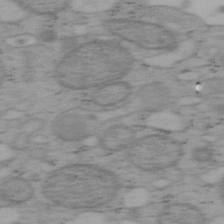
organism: Mouse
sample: OT-I killer T cells with ID8 ovarian cancer cells